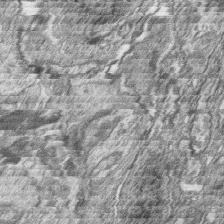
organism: Zebrafish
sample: synaptic ribbons in rod cells and cone cells